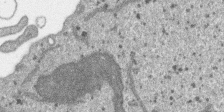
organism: Human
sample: Lung epithelial cells infected with SARS-CoV-2